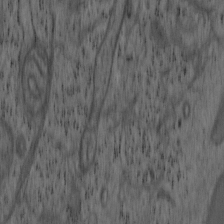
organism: Human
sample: HeLa cells